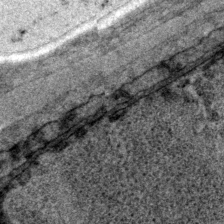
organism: P. pacificus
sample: Pharynx